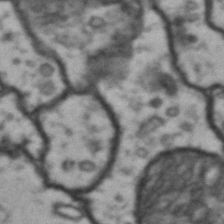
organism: Drosophila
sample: Brain